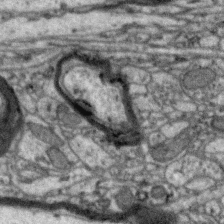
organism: Zebra finch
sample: Brain